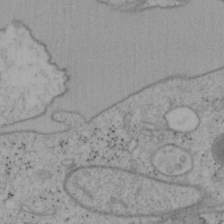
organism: Human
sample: HeLa cells